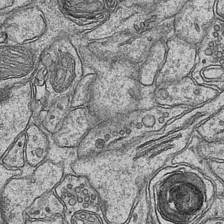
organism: Mouse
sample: CA1 Hippocampus